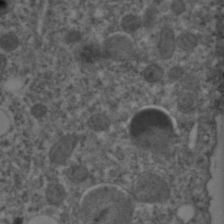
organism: C. elegans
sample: C. elegans embryo